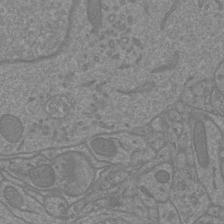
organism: Mouse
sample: Cortical neurons